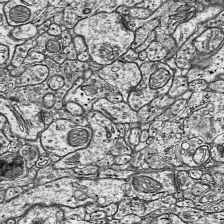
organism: Mouse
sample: Visual Cortex